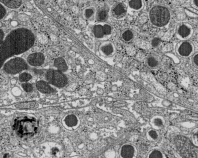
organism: C57BL Mouse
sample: Pancreatic islet